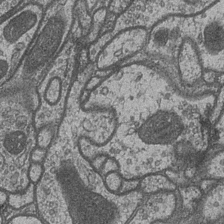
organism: Drosophila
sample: Optic medulla